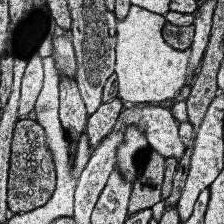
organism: Human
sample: Temporal Lobe